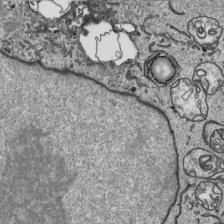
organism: Human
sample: Mitochondria in HCT116 cells